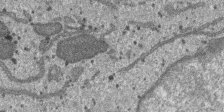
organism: Human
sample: Lung epithelial cells infected with SARS-CoV-2